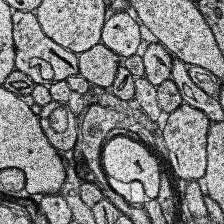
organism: Human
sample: Temporal Lobe